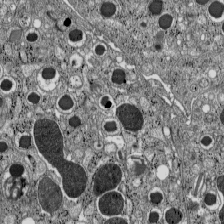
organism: C57BL Mouse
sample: Pancreatic islet